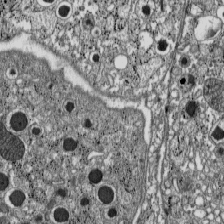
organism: C57BL Mouse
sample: Pancreatic islet